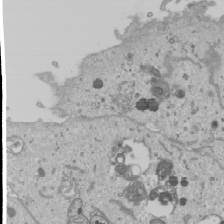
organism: Human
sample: Mitochondria in U2OS cells